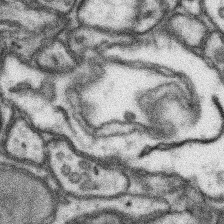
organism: Mouse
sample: Somatosensory cortex neuropil